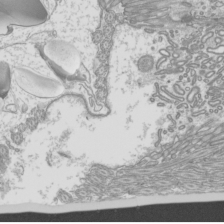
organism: Mouse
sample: Cilia; mouse epididymis